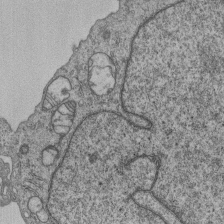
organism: Human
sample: MDA-MB-231 cells